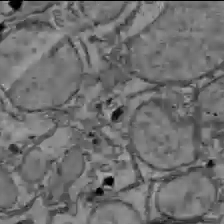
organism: C57BL Mouse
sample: Liver